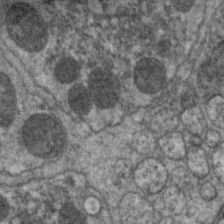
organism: C. elegans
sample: Pharynx